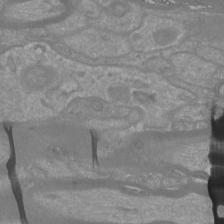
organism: Mouse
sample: Cortical neurons